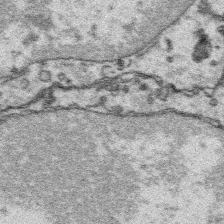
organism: Platynereis dumerilii